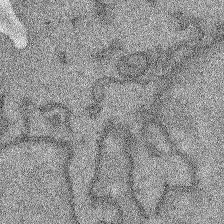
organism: Human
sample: HeLa cells